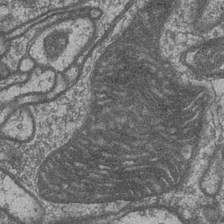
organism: Drosophila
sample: Optic medulla